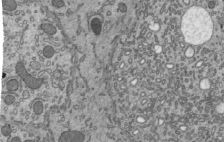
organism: Mouse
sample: Mouse epididymis efferent ductule cilia